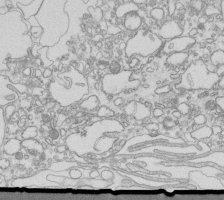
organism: Mouse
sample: Macrophages